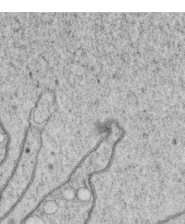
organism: C. elegans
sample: C. elegans oocyte; sperm cells